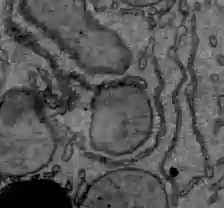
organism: C57BL Mouse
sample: Liver